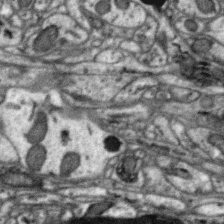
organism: Zebra finch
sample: Brain